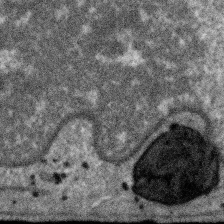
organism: Human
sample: Lung epithelial cells infected with SARS-CoV-2